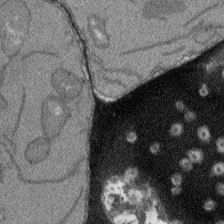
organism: Arabidopsis thaliana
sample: Root tip